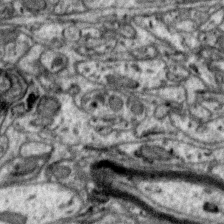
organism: Zebra finch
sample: Brain